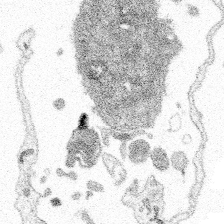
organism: Spongilla lacustris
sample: Multiple